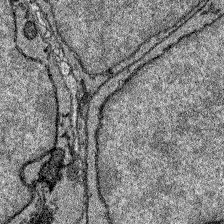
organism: Zebrafish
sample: Larval olfactory bulb